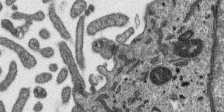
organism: Human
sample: Lung epithelial cells infected with SARS-CoV-2